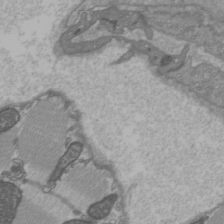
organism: C57BL Mouse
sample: Heart